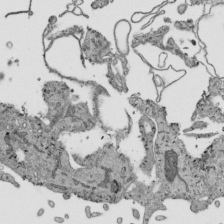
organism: Human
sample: Mitochondria in HCT116 cells